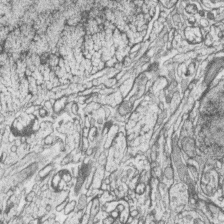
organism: Zebrafish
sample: synaptic ribbons in rod cells and cone cells